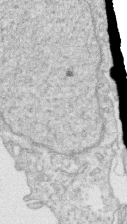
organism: Human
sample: HeLa cell HIV synapse